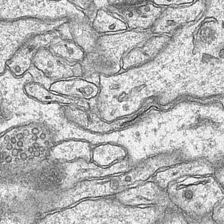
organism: Mouse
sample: CA1 Hippocampus